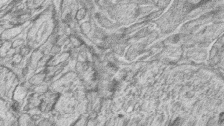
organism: Zebrafish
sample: synaptic ribbons in rod cells and cone cells